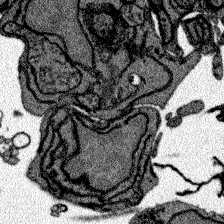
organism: Zebrafish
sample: Larval olfactory bulb